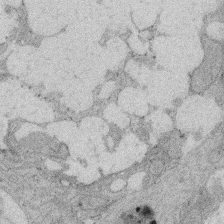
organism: Rat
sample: Salivary granule